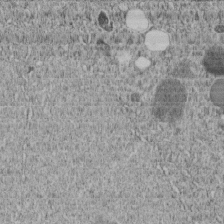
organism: C. elegans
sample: C. elegans embryo early stage